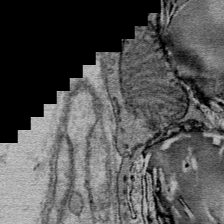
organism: Mouse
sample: Mouse Salivary gland